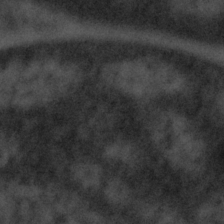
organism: Tuwongella immobilis